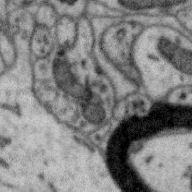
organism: Zebra finch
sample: Brain